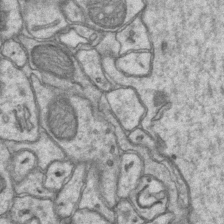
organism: Mouse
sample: CA1 Hippocampus